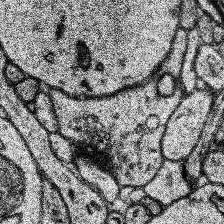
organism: Human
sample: Temporal Lobe